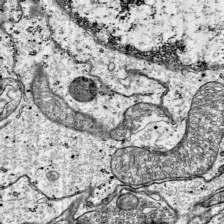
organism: Mouse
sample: Visual Cortex